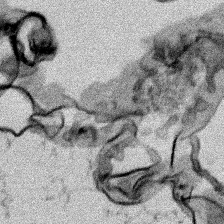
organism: Human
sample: Mitochondria in HCT116 cells